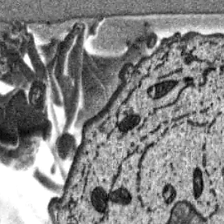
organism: Human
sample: HeLa cells